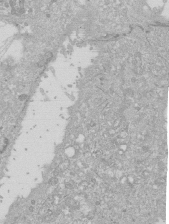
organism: Human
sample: Caco-2 cells